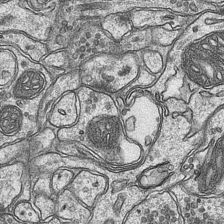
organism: Mouse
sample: CA1 Hippocampus